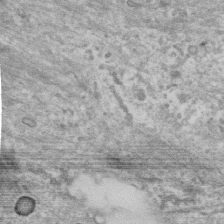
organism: Human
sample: Centriole in RPE cells